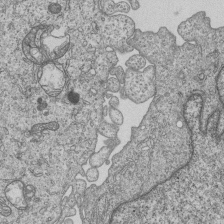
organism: Human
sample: MDA-MB-231 cells